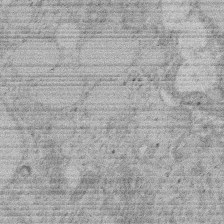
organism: Rat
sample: Salivary granule